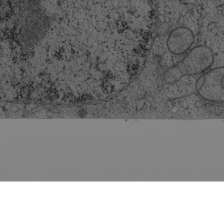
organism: African green monkey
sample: COS-7 cells